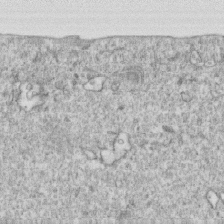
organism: Mouse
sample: Activated OT-1 CD8+ T cells